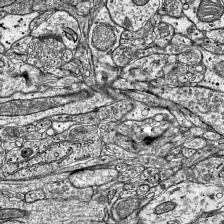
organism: Mouse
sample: Visual Cortex